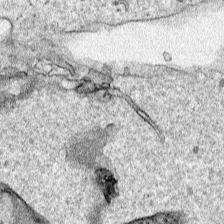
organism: Human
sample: Mitochondria in HCT116 cells